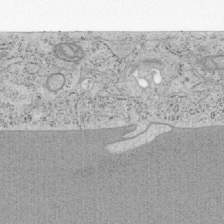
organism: Human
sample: HeLa cells